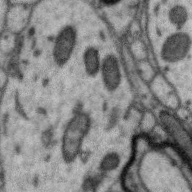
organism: Zebra finch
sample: Brain